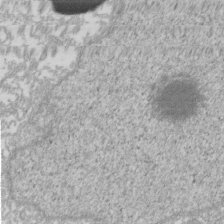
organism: Xenopus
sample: Cilia; centrioles in frog embryo cells